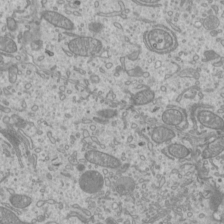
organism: Mouse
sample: Cilia; mouse epididymis